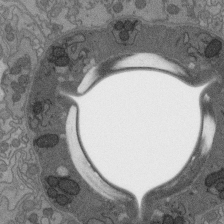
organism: C. elegans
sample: AFD neurons C. elegans